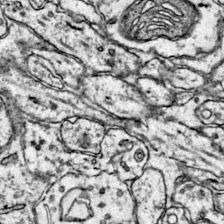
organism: Mouse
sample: Primary visual cortex